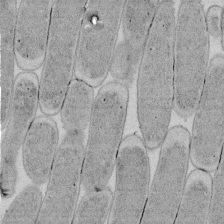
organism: E. coli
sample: Bacterial nucleoid